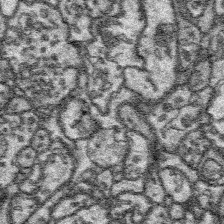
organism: Platynereis dumerilii